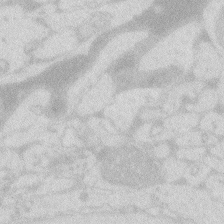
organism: Zebrafish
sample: Macrophage